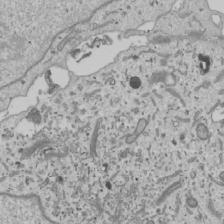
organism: Human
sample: Mitochondria in U2OS cells